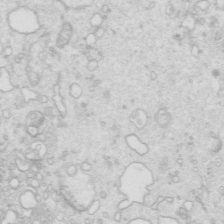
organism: Mouse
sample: Multiciliated cells